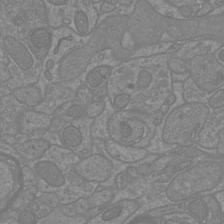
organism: Mouse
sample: Cortical neurons